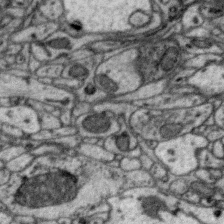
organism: Zebra finch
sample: Brain